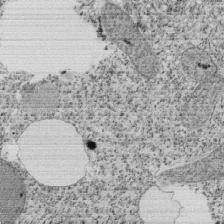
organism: Tetrahymena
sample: Cilia in tetrahymena